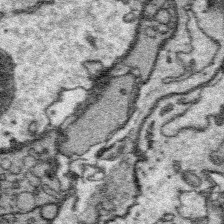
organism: Platynereis dumerilii